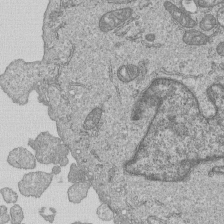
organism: Human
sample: MDA-MB-231 cells